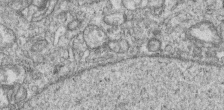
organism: Human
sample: HeLa cell HIV synapse